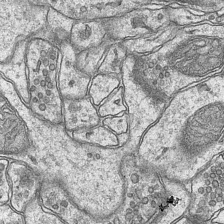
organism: Mouse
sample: CA1 Hippocampus